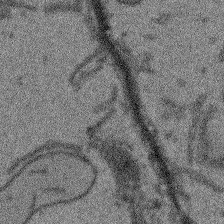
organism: Arabidopsis thaliana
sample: Root tip